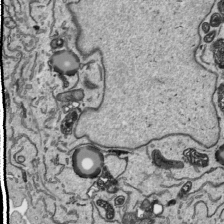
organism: Human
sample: Mitochondria in HCT116 cells